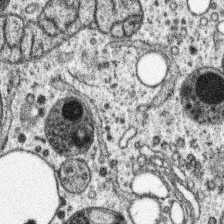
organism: Human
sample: HeLa cells